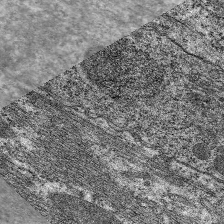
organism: C. elegans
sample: Pharynx